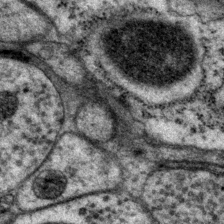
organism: P. pacificus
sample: Pharynx